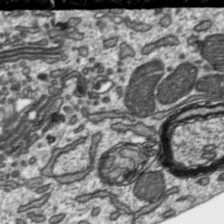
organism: Toxoplasma gondii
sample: Parasites in a vacuole inside a host cell